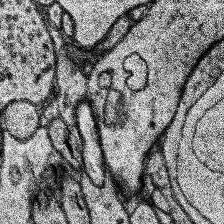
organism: Human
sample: Temporal Lobe